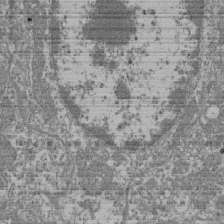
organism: Mouse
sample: Glomerulus